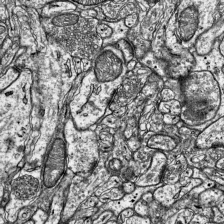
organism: Mouse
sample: Visual Cortex